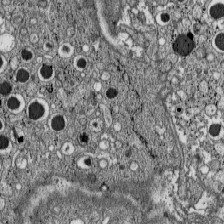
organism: C57BL Mouse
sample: Pancreatic islet